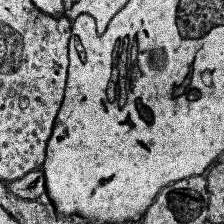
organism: Human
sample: Temporal Lobe